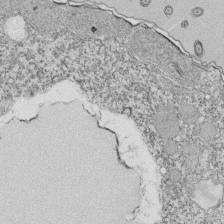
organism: Tetrahymena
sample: Cilia in tetrahymena